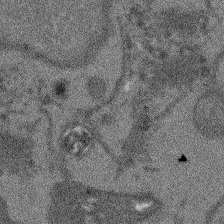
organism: Arabidopsis thaliana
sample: Root tip